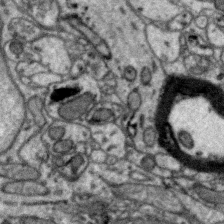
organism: Zebra finch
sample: Brain